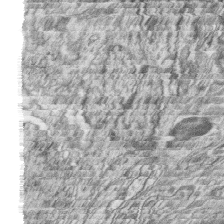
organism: Zebrafish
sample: synaptic ribbons in rod cells and cone cells